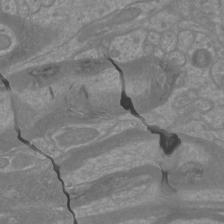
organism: Mouse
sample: Cortical neurons